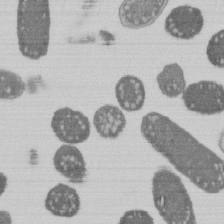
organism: E. coli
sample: Bacterial nucleoid